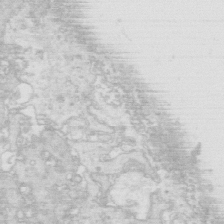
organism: Mouse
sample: Multiciliated cells